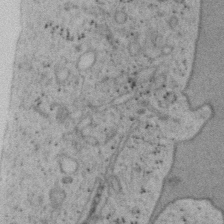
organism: Human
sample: HeLa cells